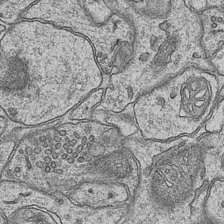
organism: Mouse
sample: CA1 Hippocampus